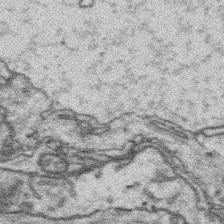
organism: Platynereis dumerilii